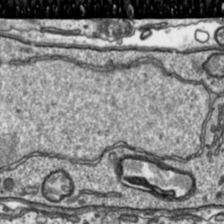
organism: Toxoplasma gondii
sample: Parasites in a vacuole inside a host cell